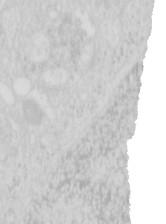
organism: Mouse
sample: Pancreas